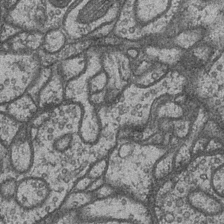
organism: Drosophila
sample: Optic medulla